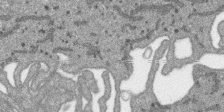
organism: Human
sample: Lung epithelial cells infected with SARS-CoV-2